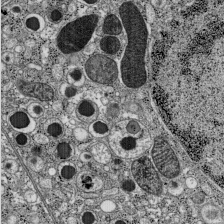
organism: C57BL Mouse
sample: Pancreatic islet